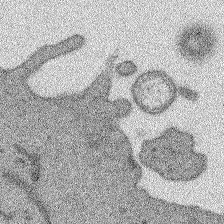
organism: Human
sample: HeLa cells